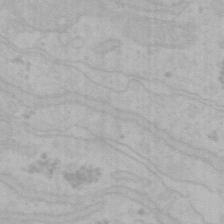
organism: Mouse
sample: Choroid plexus